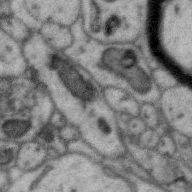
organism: Zebra finch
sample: Brain